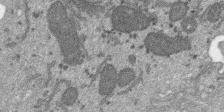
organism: Human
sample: Lung epithelial cells infected with SARS-CoV-2